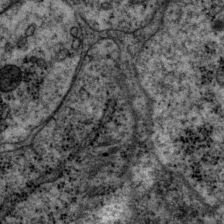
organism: P. pacificus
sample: Pharynx